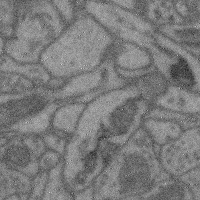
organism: Mouse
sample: Cerebral cortex